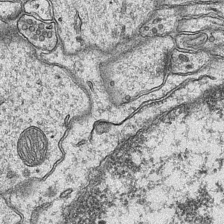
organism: Mouse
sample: CA1 Hippocampus